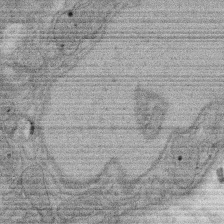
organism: Rat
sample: Salivary granule